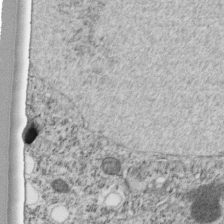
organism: C. elegans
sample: C. elegans embryo early stage